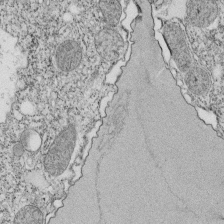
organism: Tetrahymena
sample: Cilia in tetrahymena